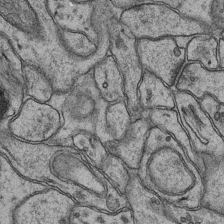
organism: Mouse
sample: CA1 Hippocampus